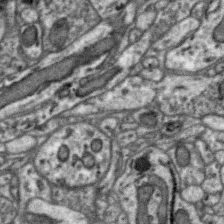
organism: Zebra finch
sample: Brain